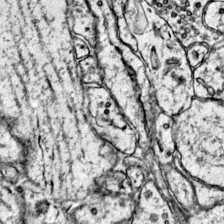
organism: Mouse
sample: Primary visual cortex